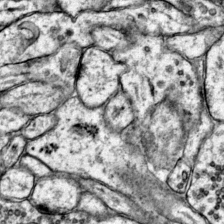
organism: Mouse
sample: Primary visual cortex